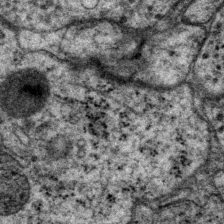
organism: P. pacificus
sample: Pharynx